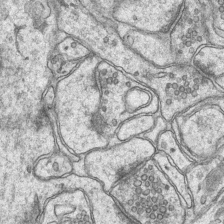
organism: Mouse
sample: CA1 Hippocampus